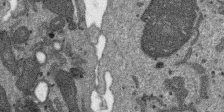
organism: Human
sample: Lung epithelial cells infected with SARS-CoV-2